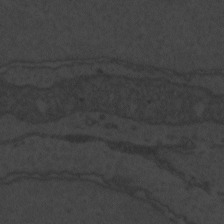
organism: Zebrafish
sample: Macrophage infected with Toxoplasma gondii